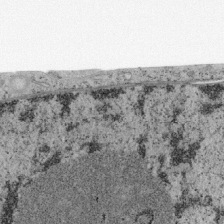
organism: Human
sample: HeLa cells